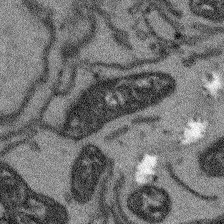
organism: Arabidopsis thaliana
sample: Root tip